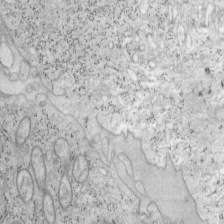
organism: Mouse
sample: OT-I killer T cells with ID8 ovarian cancer cells